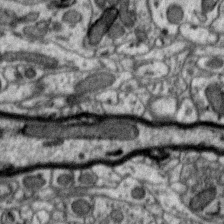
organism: Zebra finch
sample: Brain